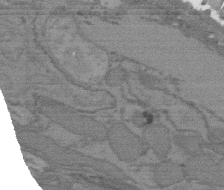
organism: C. elegans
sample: AFD neurons C. elegans